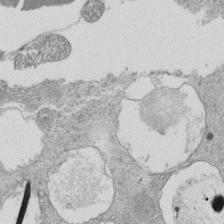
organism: Tetrahymena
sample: Cilia in tetrahymena